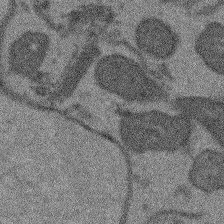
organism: Arabidopsis thaliana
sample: Root tip